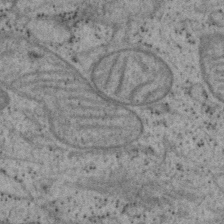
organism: Human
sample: HeLa cells